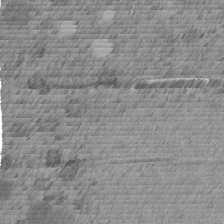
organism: C. elegans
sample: C. elegans embryo early stage